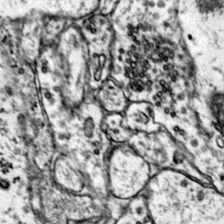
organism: Mouse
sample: Primary visual cortex